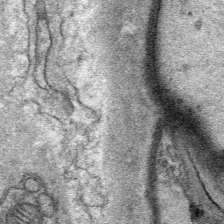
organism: Mouse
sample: Mouse Salivary gland